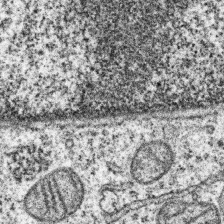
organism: Human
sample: HeLa cells